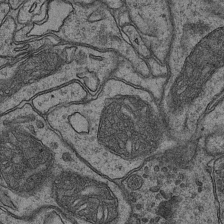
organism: Mouse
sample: CA1 Hippocampus